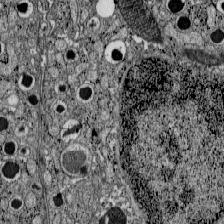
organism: C57BL Mouse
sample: Pancreatic islet